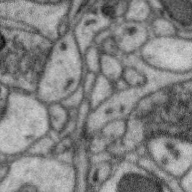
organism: Zebra finch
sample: Brain